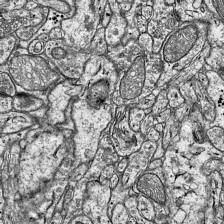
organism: Mouse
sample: Visual Cortex